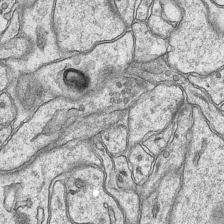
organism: Mouse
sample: CA1 Hippocampus